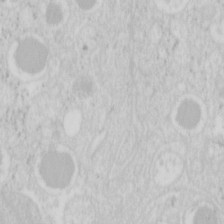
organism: Mouse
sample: Pancreas